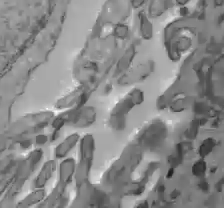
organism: C57BL Mouse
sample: Liver